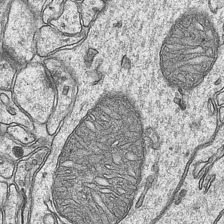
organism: Mouse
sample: CA1 Hippocampus